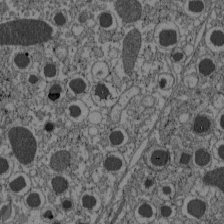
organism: C57BL Mouse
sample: Pancreatic islet